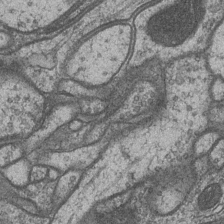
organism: Drosophila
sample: Optic medulla